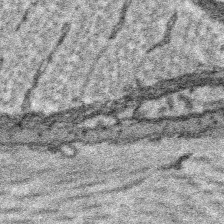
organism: Platynereis dumerilii